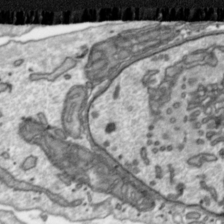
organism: Toxoplasma gondii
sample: Parasites in a vacuole inside a host cell